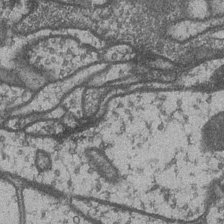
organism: Drosophila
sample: Optic medulla